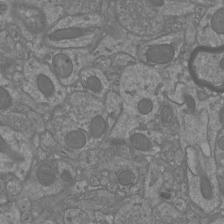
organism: Mouse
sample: Cortical neurons